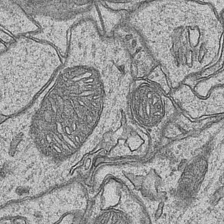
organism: Mouse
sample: CA1 Hippocampus